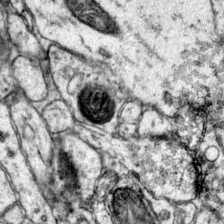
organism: Mouse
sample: Primary visual cortex